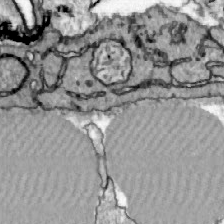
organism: Zebrafish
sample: Actinotrichia fibers